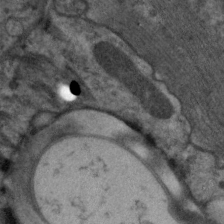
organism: C. elegans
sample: Pharynx